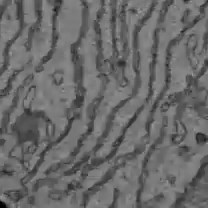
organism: C57BL Mouse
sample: Liver